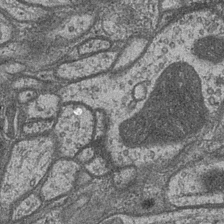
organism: Drosophila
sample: Optic medulla